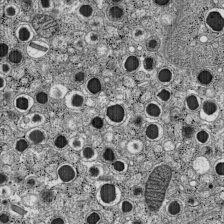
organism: C57BL Mouse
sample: Pancreatic islet